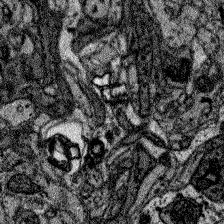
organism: Zebrafish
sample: Larval olfactory bulb